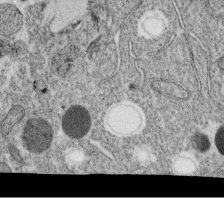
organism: C. elegans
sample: C. elegans oocyte; sperm cells